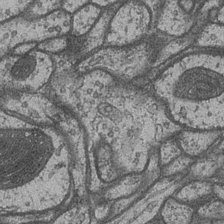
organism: Drosophila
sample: Optic medulla